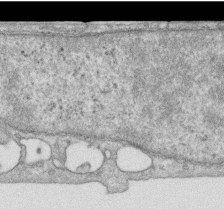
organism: Human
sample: Centriole in RPE cells